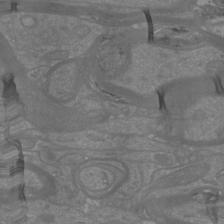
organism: Mouse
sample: Cortical neurons